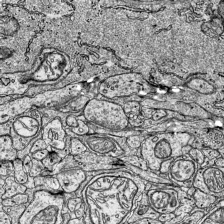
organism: Mouse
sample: Visual Cortex